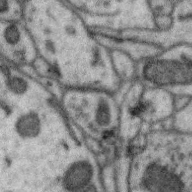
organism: Zebra finch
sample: Brain